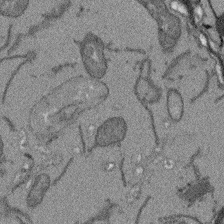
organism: Arabidopsis thaliana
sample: Root tip